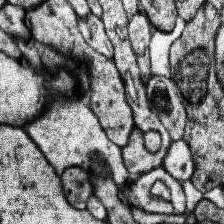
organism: Human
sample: Temporal Lobe